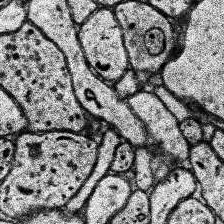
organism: Human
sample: Temporal Lobe